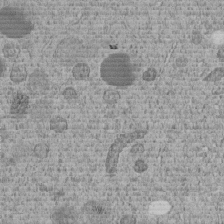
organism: C. elegans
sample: C. elegans embryo early stage